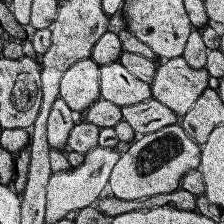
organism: Human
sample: Temporal Lobe